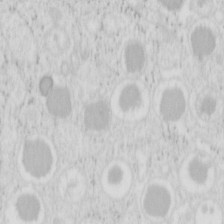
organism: Mouse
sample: Pancreas